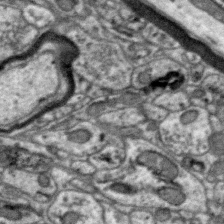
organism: Zebra finch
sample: Brain